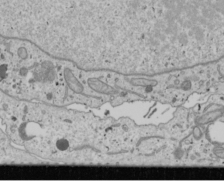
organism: Human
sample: Mitochondria in U2OS cells